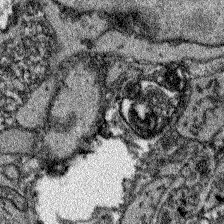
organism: Zebrafish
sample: Larval olfactory bulb